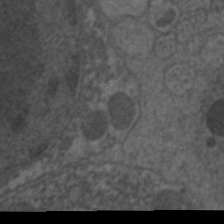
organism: C. elegans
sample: Pharynx